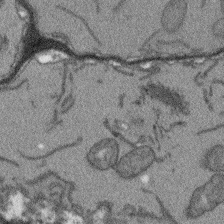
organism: Arabidopsis thaliana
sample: Root tip